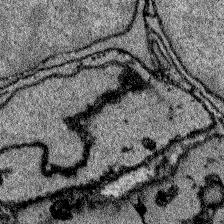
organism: Zebrafish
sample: Larval olfactory bulb